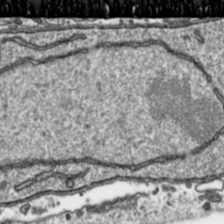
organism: Toxoplasma gondii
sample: Parasites in a vacuole inside a host cell